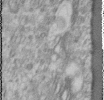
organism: Human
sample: Cilia; basal body in RPE cells